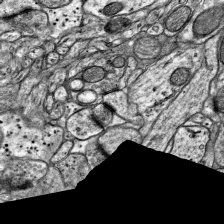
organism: Mouse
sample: Visual Cortex